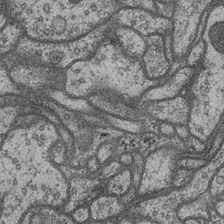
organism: Drosophila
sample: Optic medulla